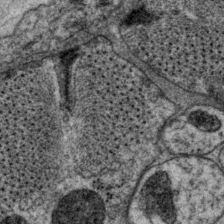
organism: P. pacificus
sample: Pharynx